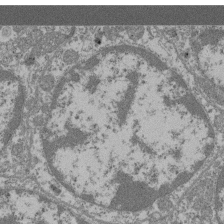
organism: Mouse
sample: Glomerulus